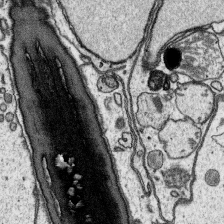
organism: Platynereis dumerilii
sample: Parapodia